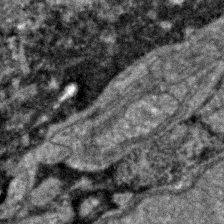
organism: Zebrafish